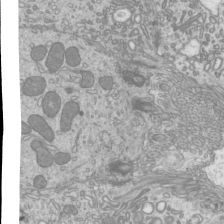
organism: Mouse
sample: Cilia; mouse epididymis